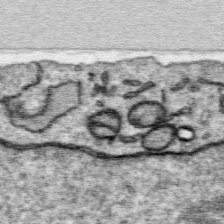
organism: Human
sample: HeLa cells